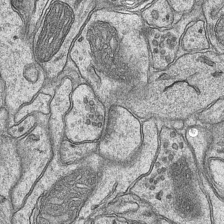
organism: Mouse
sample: CA1 Hippocampus